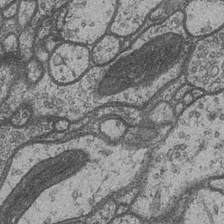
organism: Drosophila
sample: Optic medulla